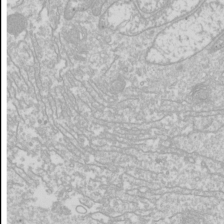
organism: Drosophila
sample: Cell division; meiosis; drosophila spermatocytes